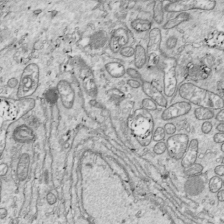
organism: Drosophila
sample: Cell division; meiosis; drosophila spermatocytes